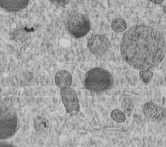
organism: C. elegans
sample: C. elegans embryo early stage